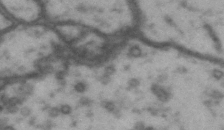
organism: Drosophila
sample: Brain